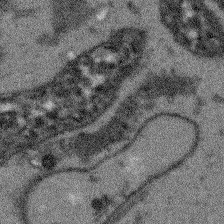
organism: Arabidopsis thaliana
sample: Root tip